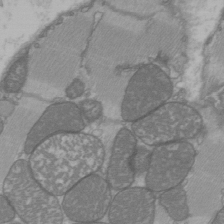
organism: C57BL Mouse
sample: Heart